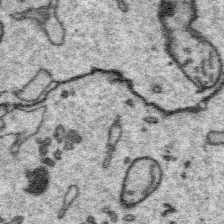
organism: Platynereis dumerilii